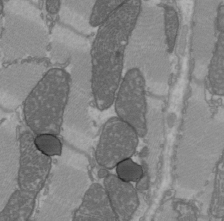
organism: C57BL Mouse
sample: Heart